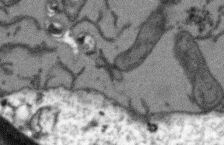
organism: Arabidopsis thaliana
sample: Root tip